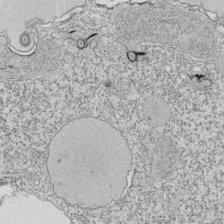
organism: Tetrahymena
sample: Cilia in tetrahymena